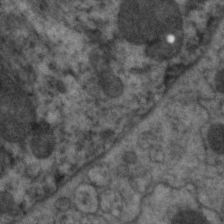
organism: C. elegans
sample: Pharynx